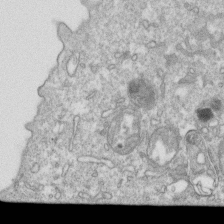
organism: Mouse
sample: Activated OT-1 CD8+ T cells